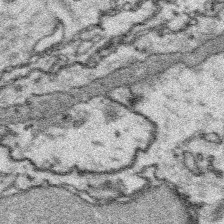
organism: Platynereis dumerilii